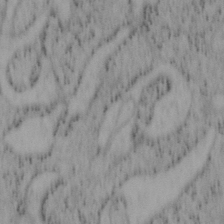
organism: Mouse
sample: OT-I killer T cells with ID8 ovarian cancer cells